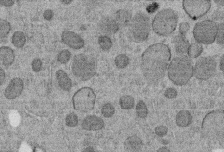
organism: C. elegans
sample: C. elegans embryo early stage